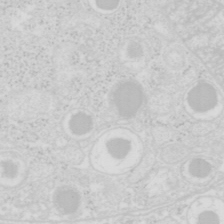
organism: Mouse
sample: Pancreas